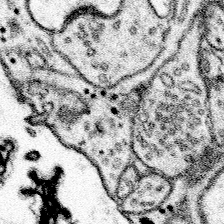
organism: Mouse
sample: Somatosensory cortex neuropil